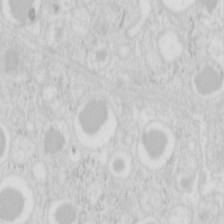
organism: Mouse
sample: Pancreas